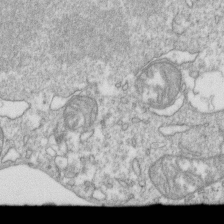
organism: Mouse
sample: Activated OT-1 CD8+ T cells